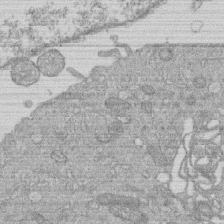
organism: Human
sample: Macrophage cells